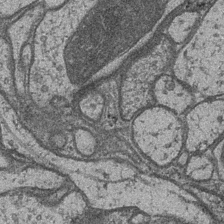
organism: Drosophila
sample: Optic medulla